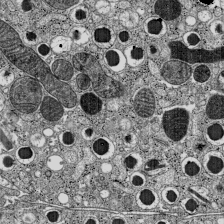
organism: C57BL Mouse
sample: Pancreatic islet